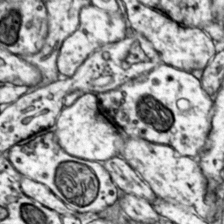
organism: Mouse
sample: Primary visual cortex